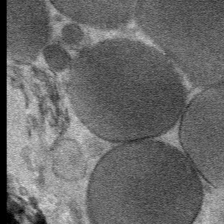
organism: Mouse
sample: Mouse Salivary gland